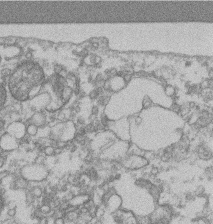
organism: Mouse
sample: T cell stromal cell synapse